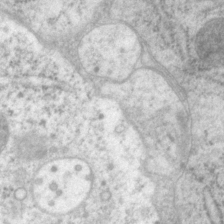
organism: P. pacificus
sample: Pharynx